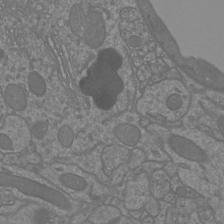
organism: Mouse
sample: Cortical neurons